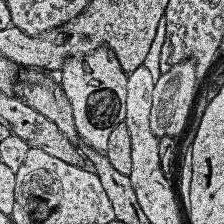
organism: Human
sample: Temporal Lobe